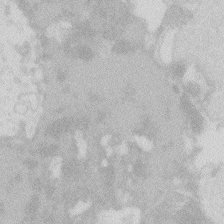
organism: Zebrafish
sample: Macrophage